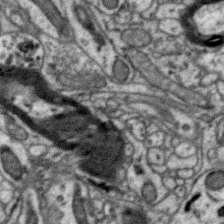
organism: Zebra finch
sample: Brain